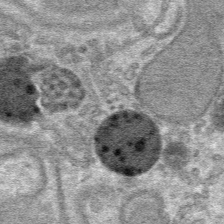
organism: Mouse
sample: Mouse hepatocytes